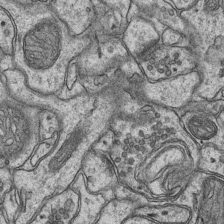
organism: Mouse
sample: CA1 Hippocampus